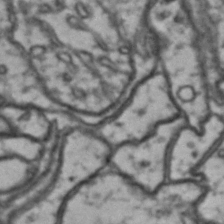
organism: Drosophila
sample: Brain